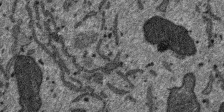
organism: Human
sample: Lung epithelial cells infected with SARS-CoV-2